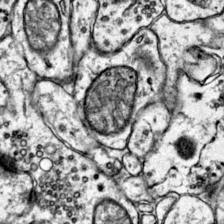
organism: Mouse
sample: Primary visual cortex